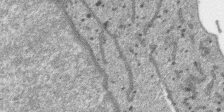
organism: Human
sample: Lung epithelial cells infected with SARS-CoV-2